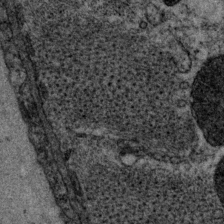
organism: P. pacificus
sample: Pharynx